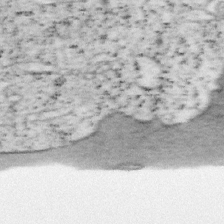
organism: Mouse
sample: OT-I killer T cells with ID8 ovarian cancer cells